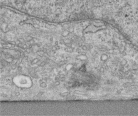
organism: Human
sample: Centriole in RPE cells